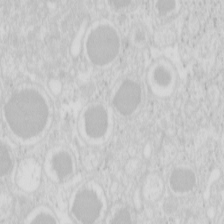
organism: Mouse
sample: Pancreas